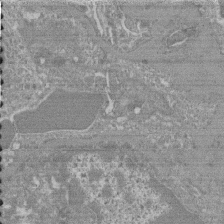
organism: Mouse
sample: Glomerulus